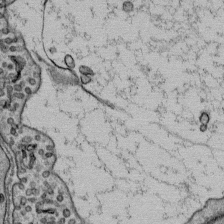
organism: Mouse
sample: Mouse Salivary gland